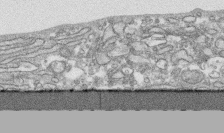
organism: Human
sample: CRL-1474